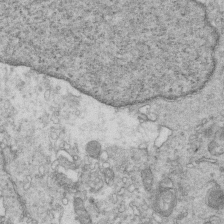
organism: Mouse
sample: Multiciliated cells